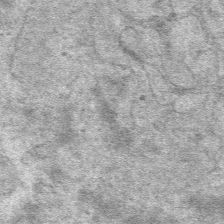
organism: Mouse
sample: Mouse hepatocytes